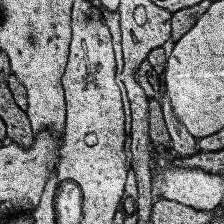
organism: Human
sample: Temporal Lobe